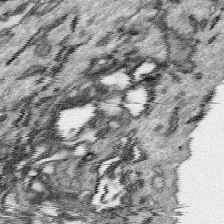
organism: Human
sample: HeLa cells